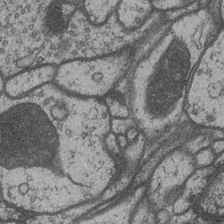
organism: Drosophila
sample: Optic medulla